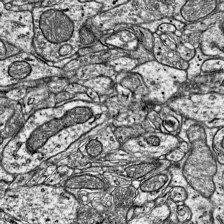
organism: Mouse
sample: Visual Cortex